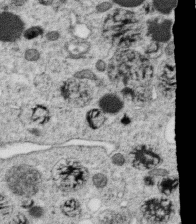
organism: C. elegans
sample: C. elegans oocyte; sperm cells